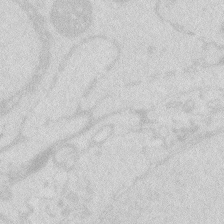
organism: Zebrafish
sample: Macrophage